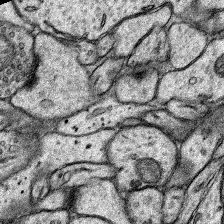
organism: Rat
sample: Hippocampus